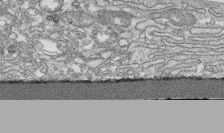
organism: Human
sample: CRL-1474